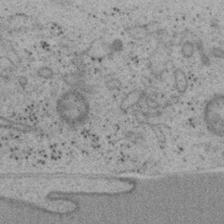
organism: Human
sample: HeLa cells